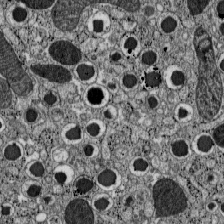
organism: C57BL Mouse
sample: Pancreatic islet